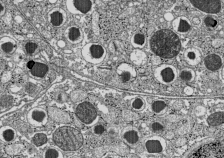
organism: C57BL Mouse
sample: Pancreatic islet